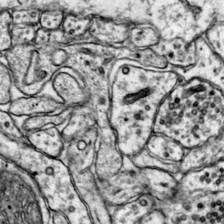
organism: Mouse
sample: Primary visual cortex